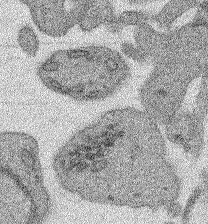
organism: Human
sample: HeLa cells